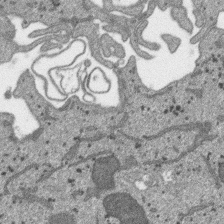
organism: Human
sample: Lung epithelial cells infected with SARS-CoV-2